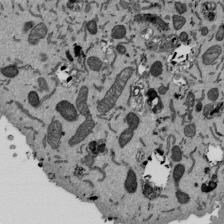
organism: Mouse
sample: ED-1 cell nuclei; centrioles